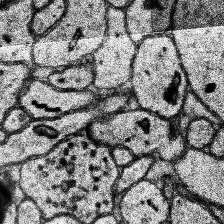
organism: Human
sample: Temporal Lobe